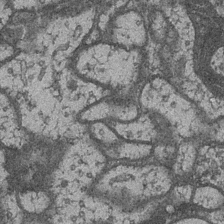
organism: Drosophila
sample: Optic medulla